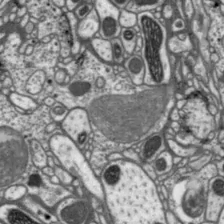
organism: Drosophila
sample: Protocerebral bridge